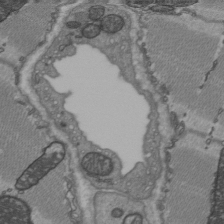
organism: C57BL Mouse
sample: Heart